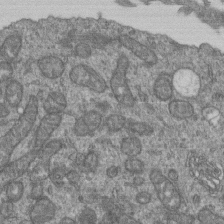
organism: Human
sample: Retinal organoid Rod and Cone cells